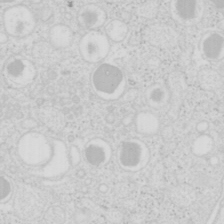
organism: Mouse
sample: Pancreas